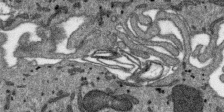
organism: Human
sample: Lung epithelial cells, uninfected (mock) control